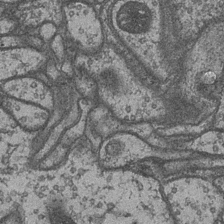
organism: Drosophila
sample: Optic medulla